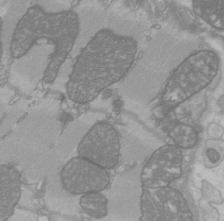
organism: C57BL Mouse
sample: Heart